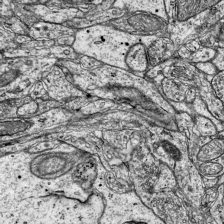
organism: Mouse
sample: Visual Cortex